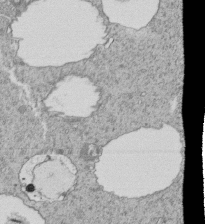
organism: Tetrahymena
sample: Cilia in tetrahymena